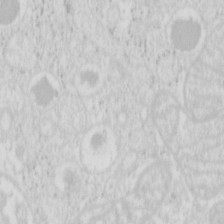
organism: Mouse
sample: Pancreas